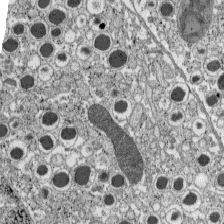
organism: C57BL Mouse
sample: Pancreatic islet